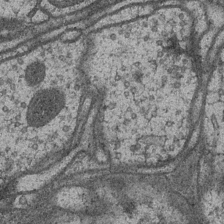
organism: Drosophila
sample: Optic medulla